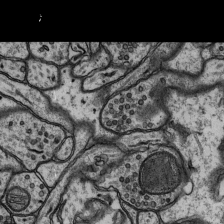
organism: Rat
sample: Hippocampus